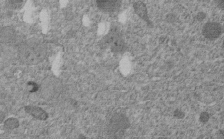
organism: C. elegans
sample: C. elegans embryo early stage